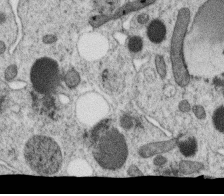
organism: C. elegans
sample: C. elegans oocyte; sperm cells